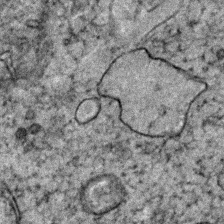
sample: Trachea